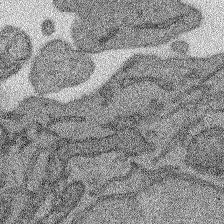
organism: Human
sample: HeLa cells